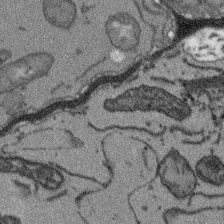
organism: Arabidopsis thaliana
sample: Root tip